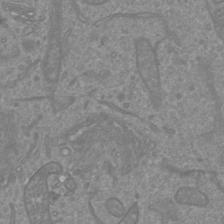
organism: Mouse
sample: Cortical neurons